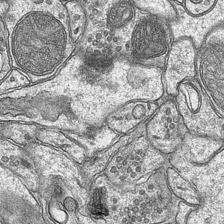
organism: Mouse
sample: CA1 Hippocampus